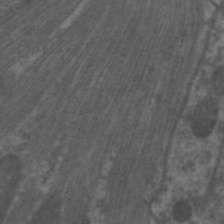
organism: C. elegans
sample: Pharynx